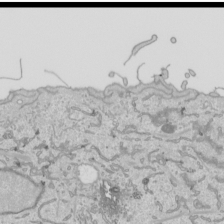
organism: Human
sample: Mitochondria in HCT116 cells